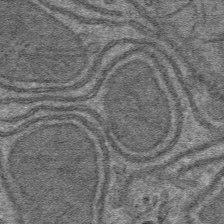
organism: Mouse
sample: Mouse hepatocytes